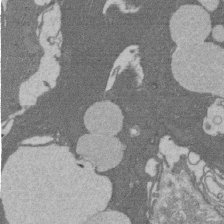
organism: Rat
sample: Salivary granule